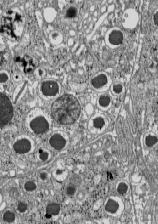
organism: C57BL Mouse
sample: Pancreatic islet